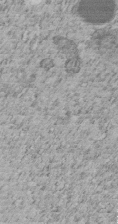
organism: C. elegans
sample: C. elegans embryo early stage